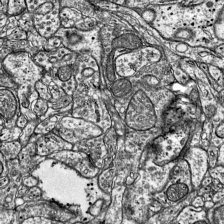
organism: Mouse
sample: Visual Cortex